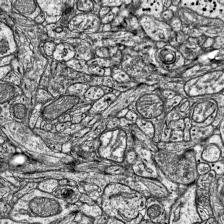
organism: Mouse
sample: Visual Cortex